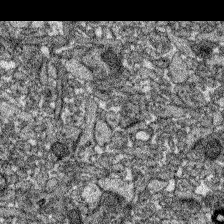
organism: Zebrafish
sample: Larval olfactory bulb